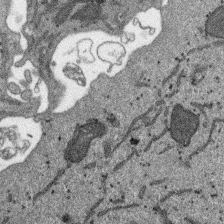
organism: Human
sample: Lung epithelial cells infected with SARS-CoV-2